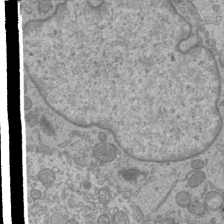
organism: Mouse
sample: Cilia; mouse epididymis